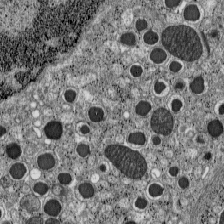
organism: C57BL Mouse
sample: Pancreatic islet